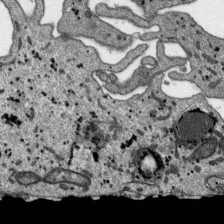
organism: Human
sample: Lung epithelial cells, uninfected (mock) control